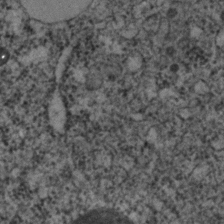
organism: C. elegans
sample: C. elegans embryo